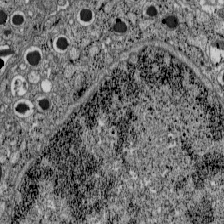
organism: C57BL Mouse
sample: Pancreatic islet